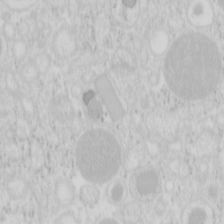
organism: Mouse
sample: Pancreas